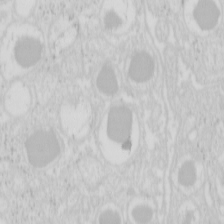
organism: Mouse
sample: Pancreas